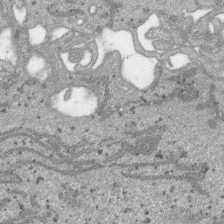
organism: Human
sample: Lung epithelial cells infected with SARS-CoV-2